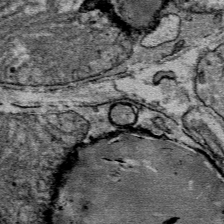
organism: Mouse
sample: Mouse Salivary gland